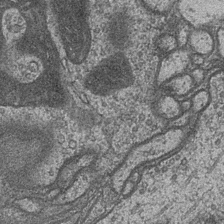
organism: Drosophila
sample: Optic medulla